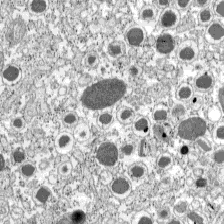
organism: C57BL Mouse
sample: Pancreatic islet